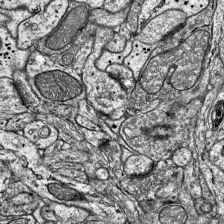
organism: Mouse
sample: Visual Cortex